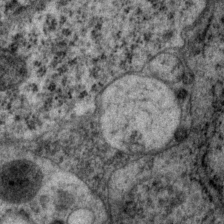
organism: P. pacificus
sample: Pharynx